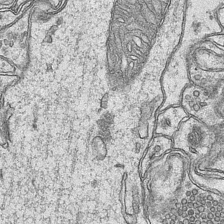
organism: Mouse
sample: CA1 Hippocampus